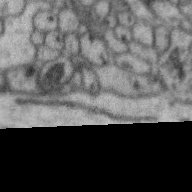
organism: Zebra finch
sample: Brain